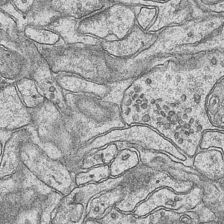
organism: Mouse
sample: CA1 Hippocampus